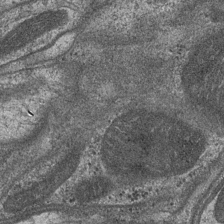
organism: Drosophila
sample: Optic medulla